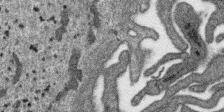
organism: Human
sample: Lung epithelial cells infected with SARS-CoV-2